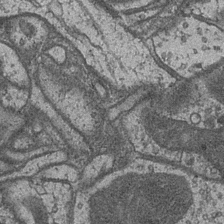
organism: Drosophila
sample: Optic medulla